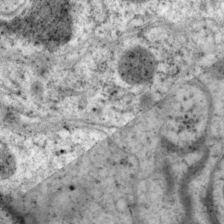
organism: P. pacificus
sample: Pharynx